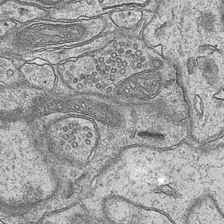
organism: Mouse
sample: CA1 Hippocampus